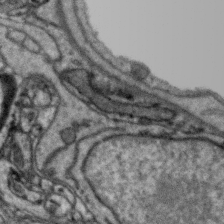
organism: Zebra finch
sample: Brain